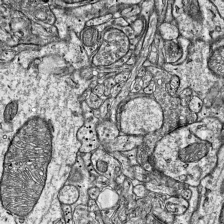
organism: Mouse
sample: Visual Cortex